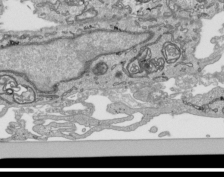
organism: Human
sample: Mitochondria in HCT116 cells